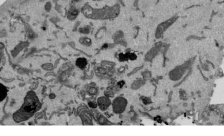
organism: Mouse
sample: ED-1 cell nuclei; centrioles